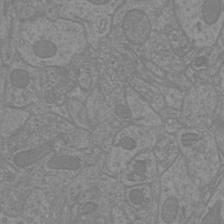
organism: Mouse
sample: Cortical neurons